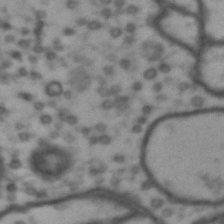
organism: Drosophila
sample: Brain